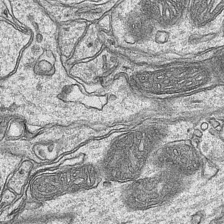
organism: Mouse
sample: CA1 Hippocampus